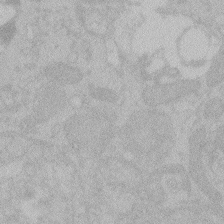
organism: Zebrafish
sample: Macrophage infected with Toxoplasma gondii